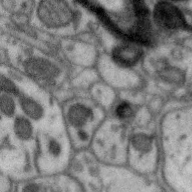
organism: Zebra finch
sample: Brain